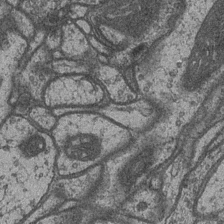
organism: Drosophila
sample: Optic medulla